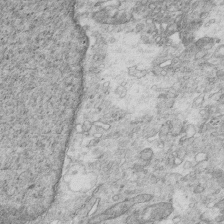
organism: Mouse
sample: Multiciliated cells